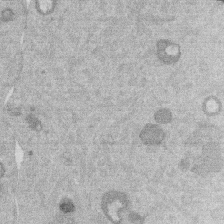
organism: Mouse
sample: Dividing mouse embryo 1 cell stage